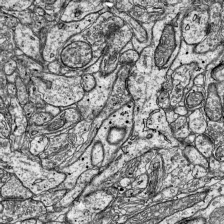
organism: Mouse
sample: Visual Cortex